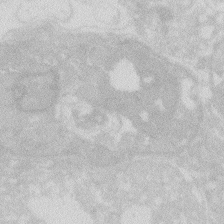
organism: Zebrafish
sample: Macrophage